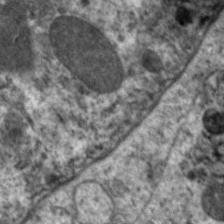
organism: C. elegans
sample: Pharynx